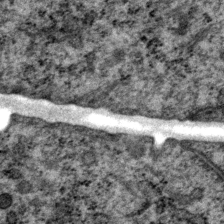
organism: P. pacificus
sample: Pharynx